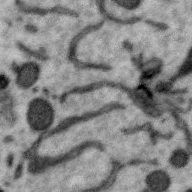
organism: Zebra finch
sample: Brain